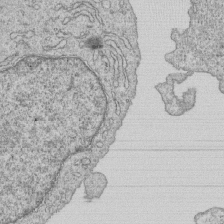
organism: Human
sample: MDA-MB-231 cells